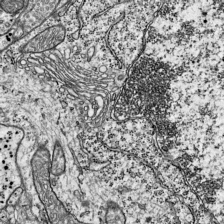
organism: Mouse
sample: Visual Cortex